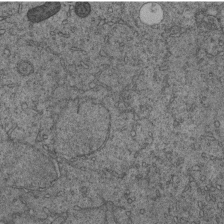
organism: C. elegans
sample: C. elegans embryo early stage